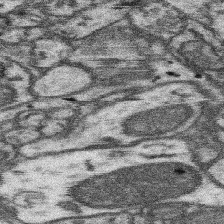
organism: Mouse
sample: Somatosensory cortex neuropil